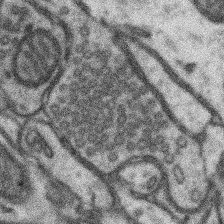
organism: Mouse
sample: Somatosensory cortex neuropil